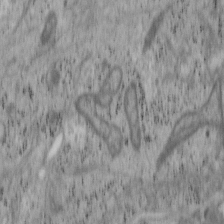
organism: Human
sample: HeLa cells